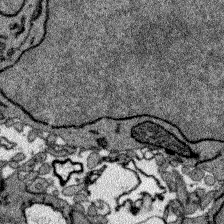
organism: Zebrafish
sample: Larval olfactory bulb